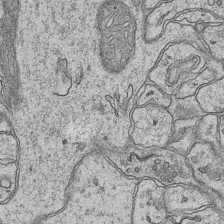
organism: Mouse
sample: CA1 Hippocampus